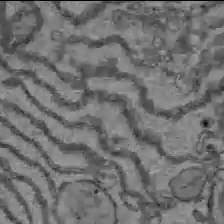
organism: C57BL Mouse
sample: Liver